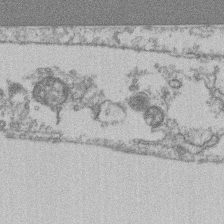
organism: Mouse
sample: T cell stromal cell synapse